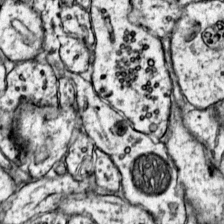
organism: Mouse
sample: Primary visual cortex